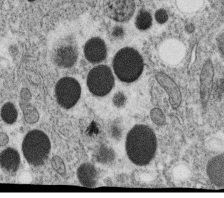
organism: C. elegans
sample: C. elegans oocyte; sperm cells